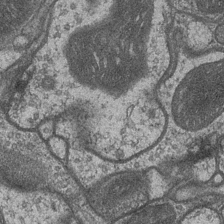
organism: Drosophila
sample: Optic medulla